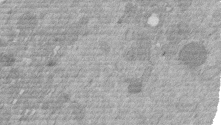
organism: Mouse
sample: Dividing mouse embryo 1 cell stage